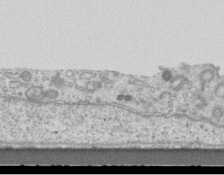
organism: Mouse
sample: Centriole in ependymal cells